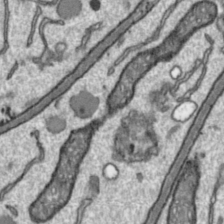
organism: Toxoplasma gondii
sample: Parasites in a vacuole inside a host cell